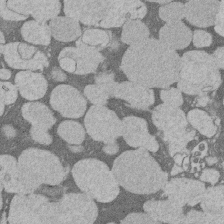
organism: Rat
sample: Salivary granule